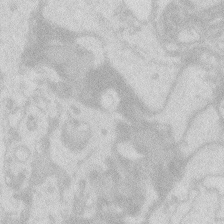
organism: Zebrafish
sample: Macrophage